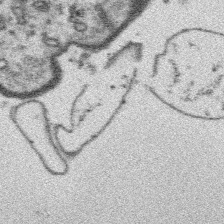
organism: Platynereis dumerilii